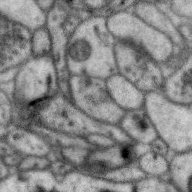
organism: Zebra finch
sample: Brain